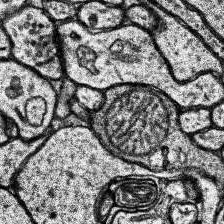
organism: Human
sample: Temporal Lobe